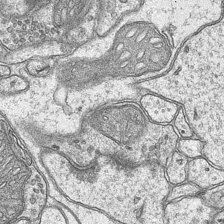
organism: Mouse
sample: CA1 Hippocampus